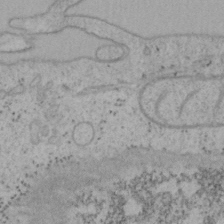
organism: Human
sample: HeLa cells